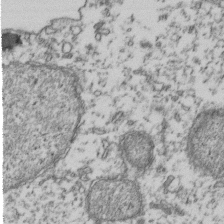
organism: Human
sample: Activated Jurkat CD4+ T cells